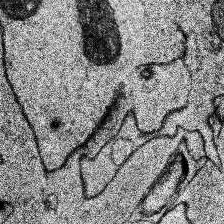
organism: Human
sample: Temporal Lobe